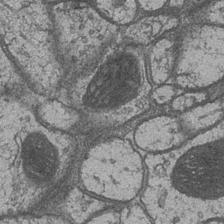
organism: Drosophila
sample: Optic medulla